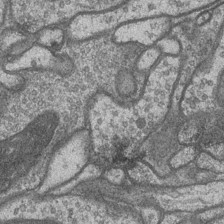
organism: Drosophila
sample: Optic medulla